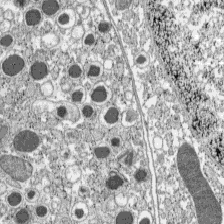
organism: C57BL Mouse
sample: Pancreatic islet